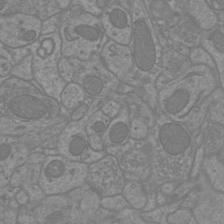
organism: Mouse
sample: Cortical neurons